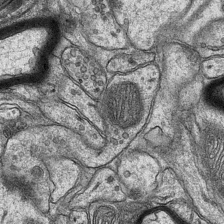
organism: Mouse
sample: CA1 Hippocampus